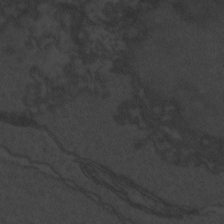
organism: Zebrafish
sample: Macrophage infected with Toxoplasma gondii